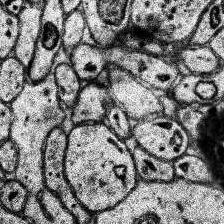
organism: Human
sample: Temporal Lobe